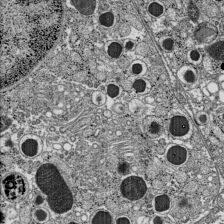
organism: C57BL Mouse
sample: Pancreatic islet